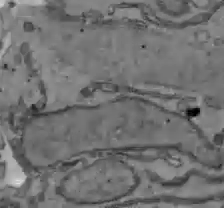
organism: C57BL Mouse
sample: Liver